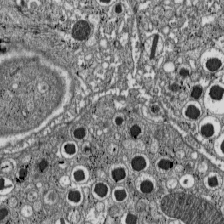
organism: C57BL Mouse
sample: Pancreatic islet